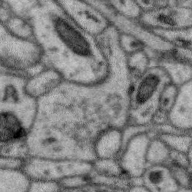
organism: Zebra finch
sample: Brain